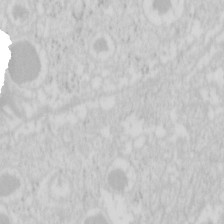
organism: Mouse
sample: Pancreas